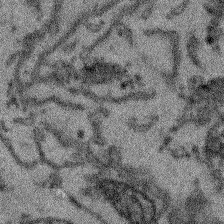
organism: Arabidopsis thaliana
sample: Root tip